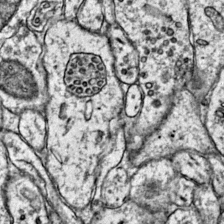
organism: Mouse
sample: Primary visual cortex